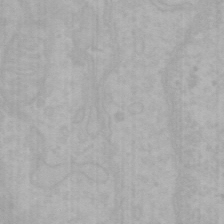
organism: Mouse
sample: Choroid plexus